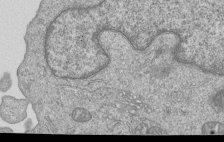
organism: Human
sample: MDA-MB-231 cells